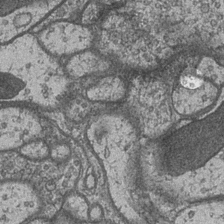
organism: Drosophila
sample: Optic medulla